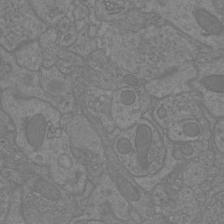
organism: Mouse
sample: Cortical neurons